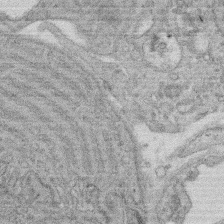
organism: Rat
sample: Salivary granule